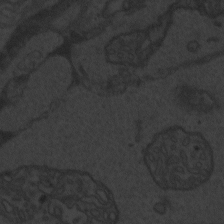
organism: Zebrafish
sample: Macrophage infected with Toxoplasma gondii